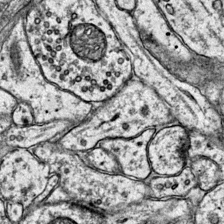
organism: Mouse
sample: Primary visual cortex